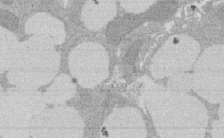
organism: Rat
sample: Salivary granule